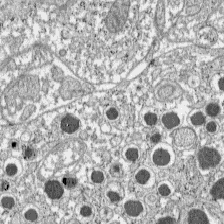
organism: C57BL Mouse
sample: Pancreatic islet